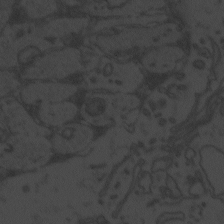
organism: Zebrafish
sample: Macrophage infected with Toxoplasma gondii